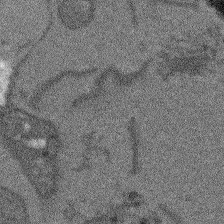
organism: Arabidopsis thaliana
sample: Root tip